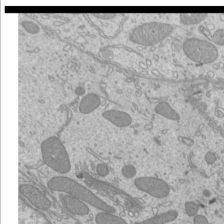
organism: Mouse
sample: Cilia; mouse epididymis